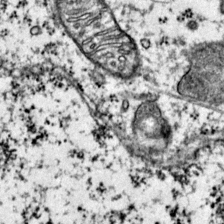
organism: Mouse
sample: Primary visual cortex